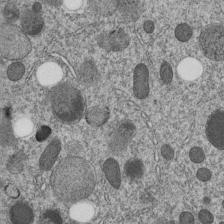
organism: C. elegans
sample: C. elegans embryo early stage